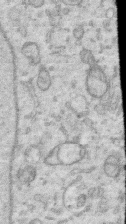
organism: Human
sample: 1205lu cells